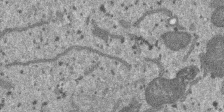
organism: Human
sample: Lung epithelial cells infected with SARS-CoV-2